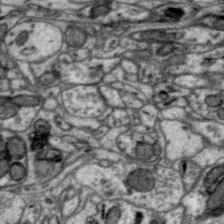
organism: Zebra finch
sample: Brain